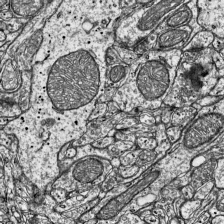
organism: Mouse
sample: Visual Cortex